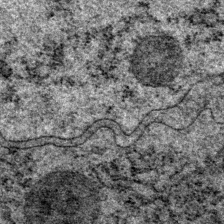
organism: P. pacificus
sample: Pharynx